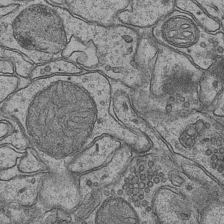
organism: Mouse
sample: CA1 Hippocampus